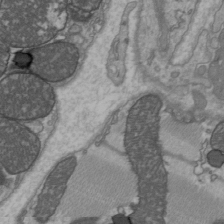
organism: C57BL Mouse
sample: Heart